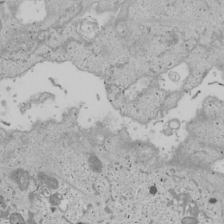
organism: Human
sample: Mitochondria in U2OS cells